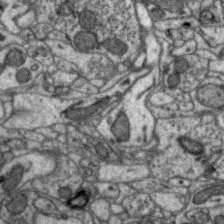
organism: Zebra finch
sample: Brain